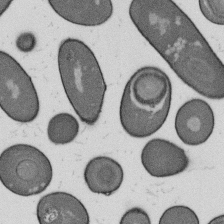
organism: B. subtilis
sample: Bacterial spore